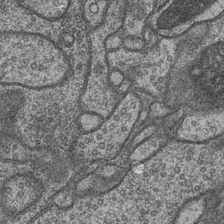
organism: Drosophila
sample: Optic medulla